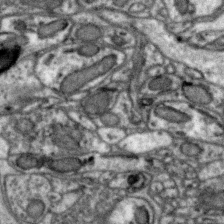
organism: Zebra finch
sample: Brain